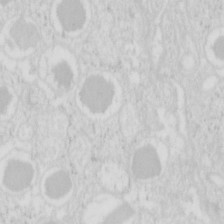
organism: Mouse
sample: Pancreas